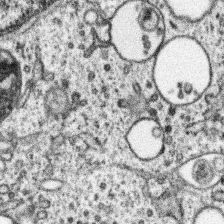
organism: Human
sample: HeLa cells